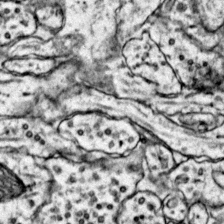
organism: Mouse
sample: Primary visual cortex